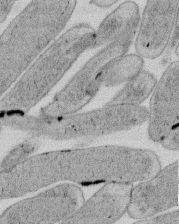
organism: E. coli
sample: Bacterial nucleoid